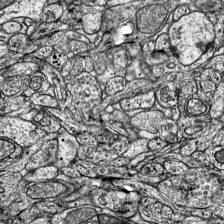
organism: Mouse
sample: Visual Cortex